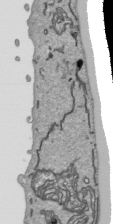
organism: Human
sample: Mitochondria in HCT116 cells